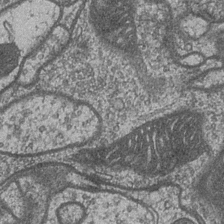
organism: Drosophila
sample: Optic medulla